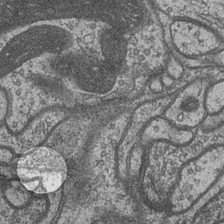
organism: Drosophila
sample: Optic medulla